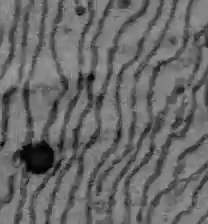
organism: C57BL Mouse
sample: Liver